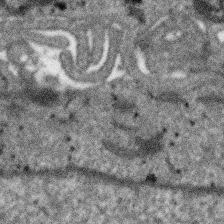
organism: Human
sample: Lung epithelial cells infected with SARS-CoV-2